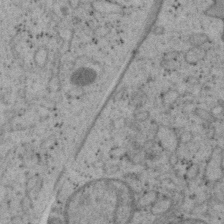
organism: Human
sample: HeLa cells